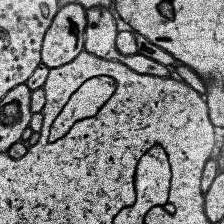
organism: Human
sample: Temporal Lobe